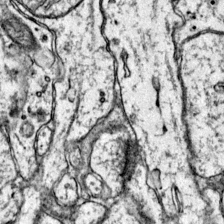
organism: Mouse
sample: Primary visual cortex